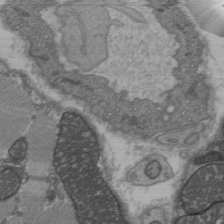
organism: C57BL Mouse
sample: Heart